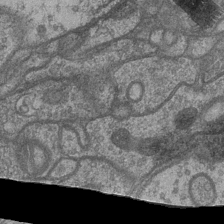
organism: Drosophila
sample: Optic medulla